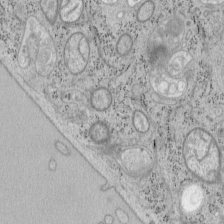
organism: Mouse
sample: OT-I killer T cells with ID8 ovarian cancer cells